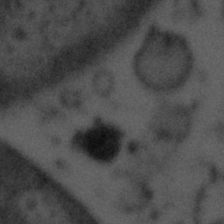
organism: Tuwongella immobilis